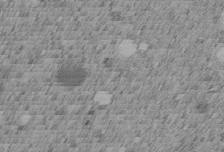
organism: C. elegans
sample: C. elegans embryo early stage